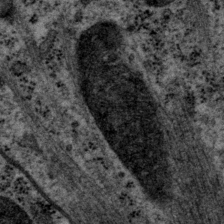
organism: P. pacificus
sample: Pharynx